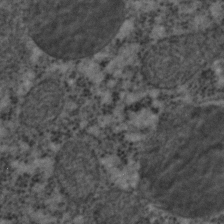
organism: C. elegans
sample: C. elegans embryo